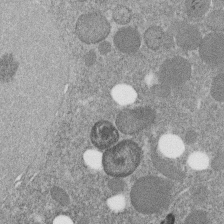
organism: C. elegans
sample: C. elegans embryo early stage